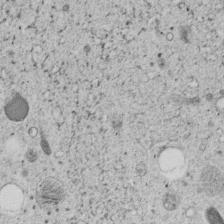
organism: C. elegans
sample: C. elegans embryo early stage